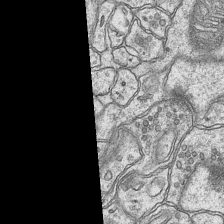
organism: Mouse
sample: CA1 Hippocampus